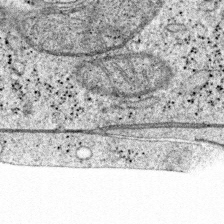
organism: Human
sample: HeLa cells